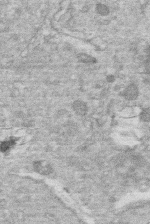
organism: Human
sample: Macrophage cells